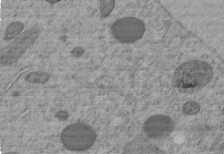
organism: C. elegans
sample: C. elegans embryo early stage